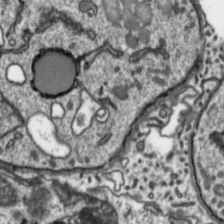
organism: Toxoplasma gondii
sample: Parasites in a vacuole inside a host cell